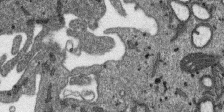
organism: Human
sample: Lung epithelial cells infected with SARS-CoV-2